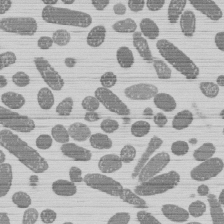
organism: E. coli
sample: Bacterial nucleoid